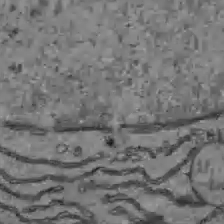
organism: C57BL Mouse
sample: Liver